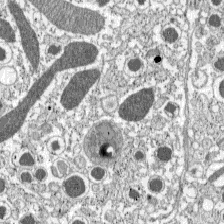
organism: C57BL Mouse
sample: Pancreatic islet